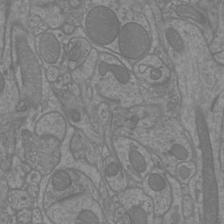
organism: Mouse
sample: Cortical neurons